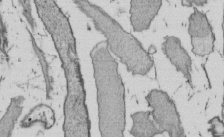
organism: E. coli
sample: Bacterial nucleoid